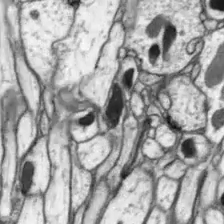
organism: Drosophila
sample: Optic lobe